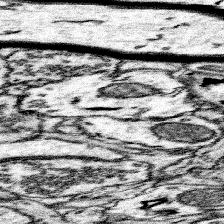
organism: Mouse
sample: Somatosensory cortex neuropil